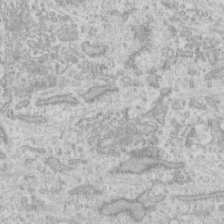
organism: Human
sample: Fibroblast cells